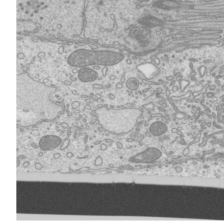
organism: Mouse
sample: Cilia; mouse epididymis